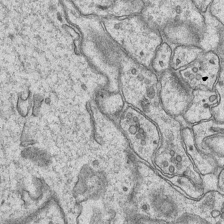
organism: Mouse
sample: CA1 Hippocampus